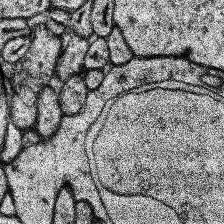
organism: Human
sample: Temporal Lobe